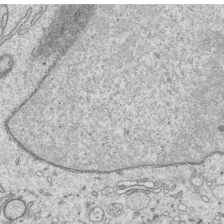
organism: Human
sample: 1205lu cells